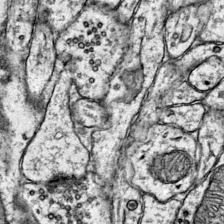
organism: Mouse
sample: Primary visual cortex